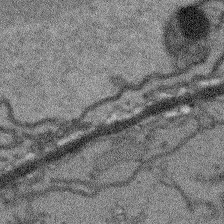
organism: Arabidopsis thaliana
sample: Root tip